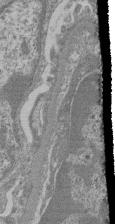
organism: Mouse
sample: Glomerulus